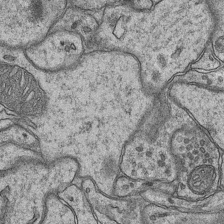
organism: Mouse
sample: CA1 Hippocampus